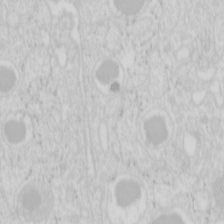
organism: Mouse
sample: Pancreas